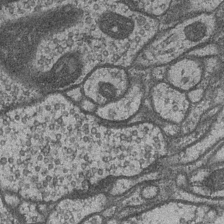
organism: Drosophila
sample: Optic medulla